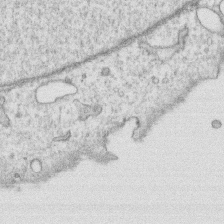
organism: Human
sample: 1205lu cells